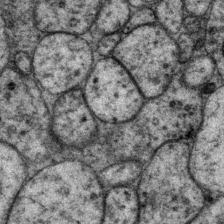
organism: P. pacificus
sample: Pharynx